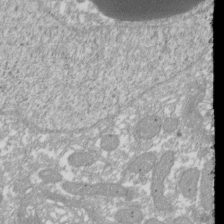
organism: Xenopus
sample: Cilia; centrioles in frog embryo cells